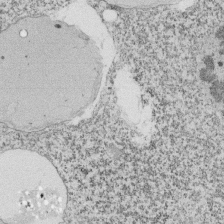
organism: Tetrahymena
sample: Cilia in tetrahymena